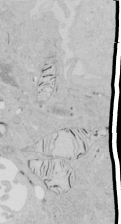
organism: Human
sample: Mitochondria in HCT116 cells